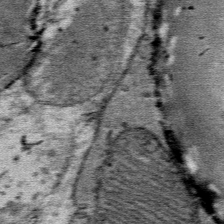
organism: Mouse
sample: Mouse Salivary gland